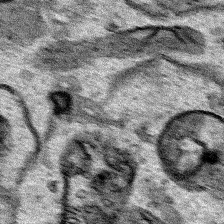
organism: Human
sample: Mitochondria in HCT116 cells